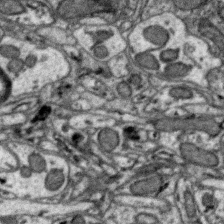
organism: Zebra finch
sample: Brain